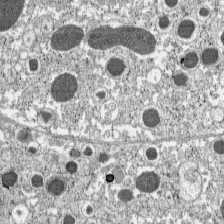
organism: C57BL Mouse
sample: Pancreatic islet